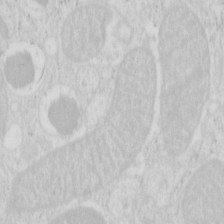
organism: Mouse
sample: Pancreas